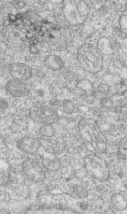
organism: Human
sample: HeLa cell HIV synapse